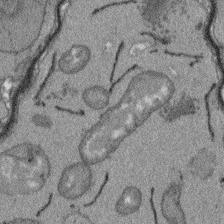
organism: Arabidopsis thaliana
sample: Root tip